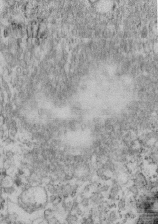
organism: Mouse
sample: Cilia; retinal pigment epithelium